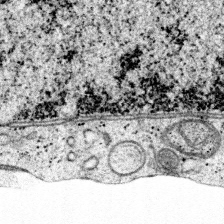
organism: Human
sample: HeLa cells